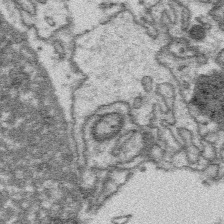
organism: Platynereis dumerilii